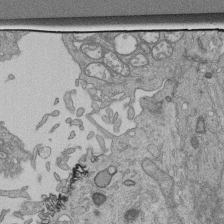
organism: Human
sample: Retinal organoid Rod and Cone cells